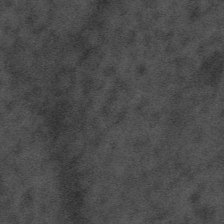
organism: Tuwongella immobilis